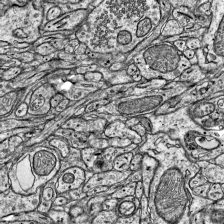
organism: Mouse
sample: Visual Cortex